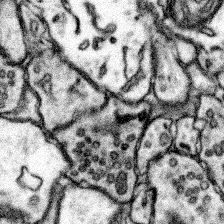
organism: Mouse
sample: Somatosensory cortex neuropil